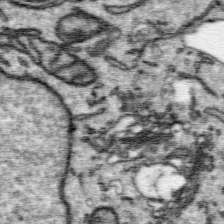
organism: Human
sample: HeLa cells